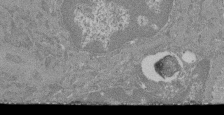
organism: Mouse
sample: Glomerulus